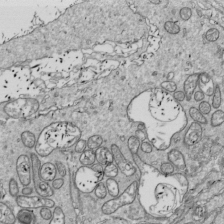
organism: Drosophila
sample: Cell division; meiosis; drosophila spermatocytes